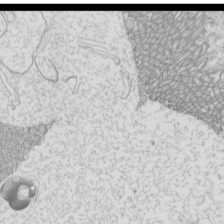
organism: Mouse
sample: Cilia; mouse epididymis